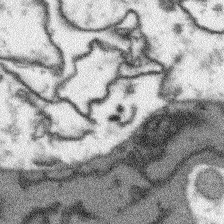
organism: Arabidopsis thaliana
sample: Root tip